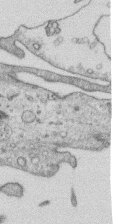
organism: Human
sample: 1205lu cells